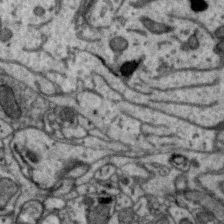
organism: Zebra finch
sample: Brain